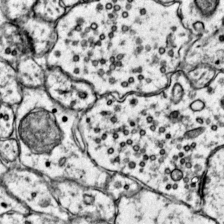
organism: Mouse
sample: Primary visual cortex